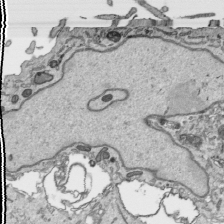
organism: Human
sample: Mitochondria in HCT116 cells